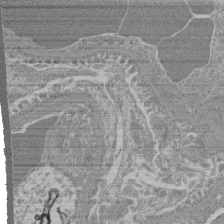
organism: Mouse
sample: Glomerulus